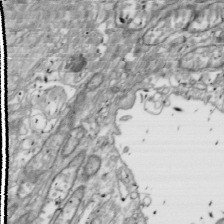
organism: Drosophila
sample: Cell division; meiosis; drosophila spermatocytes